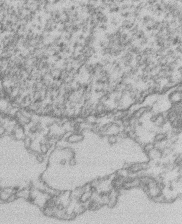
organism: Mouse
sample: T cell stromal cell synapse